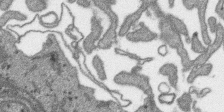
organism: Human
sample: Lung epithelial cells infected with SARS-CoV-2